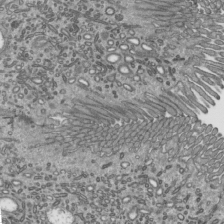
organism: Mouse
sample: Mouse epididymis efferent ductule cilia